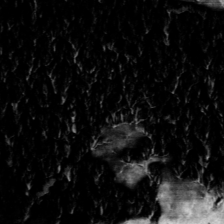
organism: Toxoplasma gondii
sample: Parasites in a vacuole inside a host cell